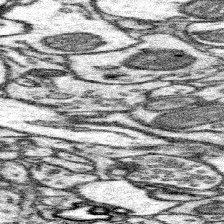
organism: Mouse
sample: Somatosensory cortex neuropil